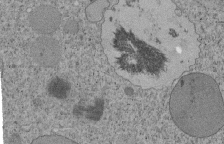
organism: Tetrahymena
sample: Cilia in tetrahymena